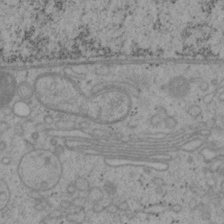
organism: Human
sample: HeLa cells